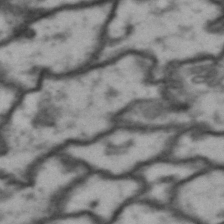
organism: Drosophila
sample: Brain